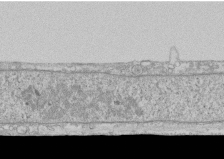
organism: Human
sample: CRL-1474